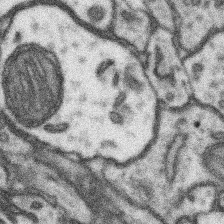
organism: Mouse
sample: Somatosensory cortex neuropil